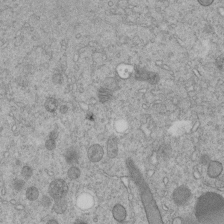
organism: C. elegans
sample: C. elegans embryo early stage